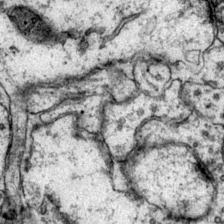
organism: Mouse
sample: Primary visual cortex